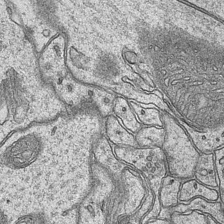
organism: Mouse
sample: CA1 Hippocampus